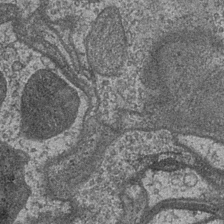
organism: Drosophila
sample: Optic medulla